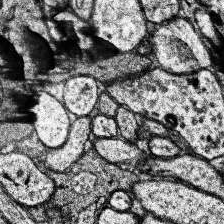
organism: Human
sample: Temporal Lobe